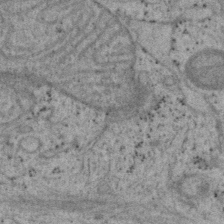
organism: Human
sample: HeLa cells